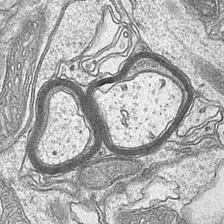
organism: Mouse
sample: CA1 Hippocampus